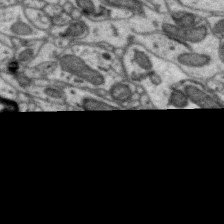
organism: Zebra finch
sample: Brain